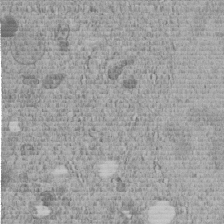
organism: C. elegans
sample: C. elegans embryo early stage